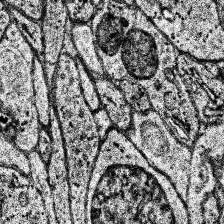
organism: Human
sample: Temporal Lobe